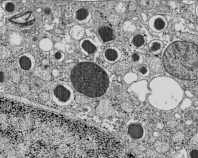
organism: C57BL Mouse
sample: Pancreatic islet